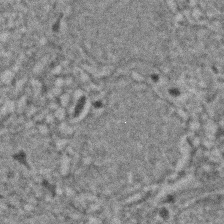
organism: Zebrafish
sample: Zebrafish embryo